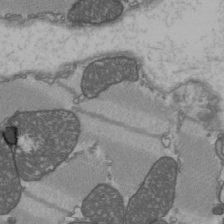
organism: C57BL Mouse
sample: Heart